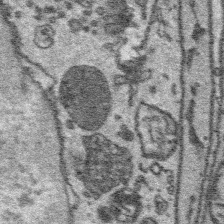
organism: Platynereis dumerilii